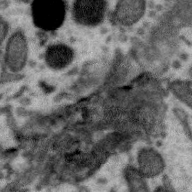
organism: Zebra finch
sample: Brain